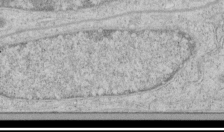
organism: Human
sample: Mitochondria in HCT116 cells